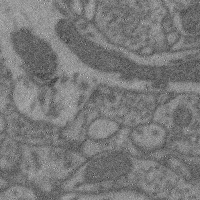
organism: Mouse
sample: Cerebral cortex